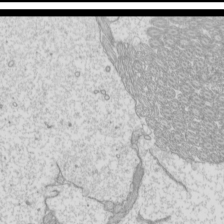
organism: Mouse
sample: Cilia; mouse epididymis